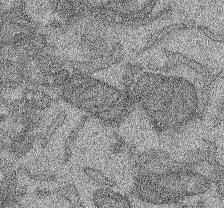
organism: Human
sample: HeLa cells